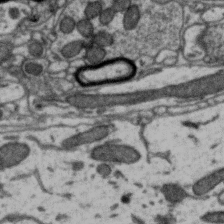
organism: Zebra finch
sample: Brain